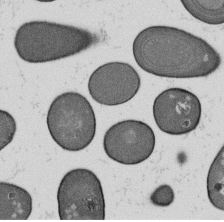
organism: B. subtilis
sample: Bacterial spore